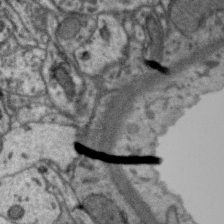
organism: Zebra finch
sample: Brain